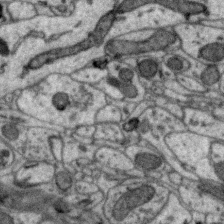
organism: Zebra finch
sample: Brain